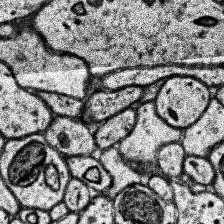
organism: Human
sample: Temporal Lobe